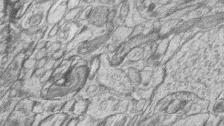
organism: Zebrafish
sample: synaptic ribbons in rod cells and cone cells